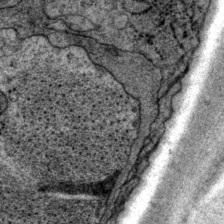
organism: P. pacificus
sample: Pharynx